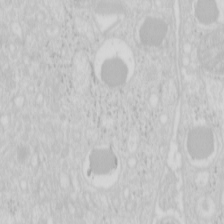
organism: Mouse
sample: Pancreas